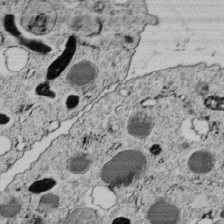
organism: C. elegans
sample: C. elegans embryo early stage